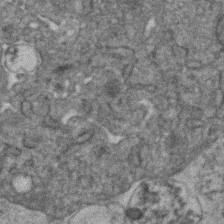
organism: Human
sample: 1205lu cells